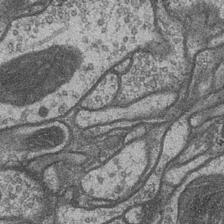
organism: Drosophila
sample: Optic medulla